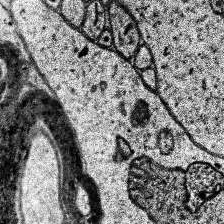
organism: Human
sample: Temporal Lobe